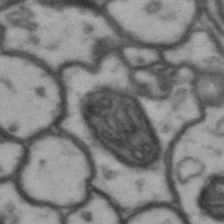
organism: Drosophila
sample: Brain